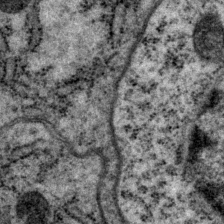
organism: P. pacificus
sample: Pharynx